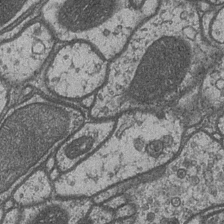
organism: Drosophila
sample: Optic medulla